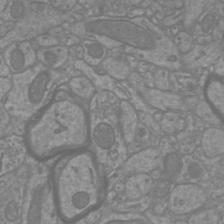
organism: Mouse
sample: Cortical neurons